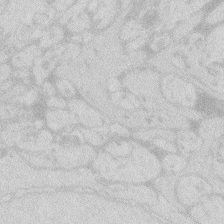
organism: Zebrafish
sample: Macrophage